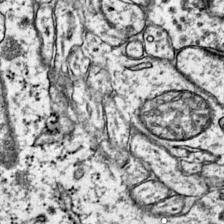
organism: Mouse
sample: Primary visual cortex